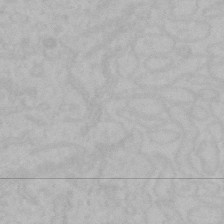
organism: Mouse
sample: Choroid plexus